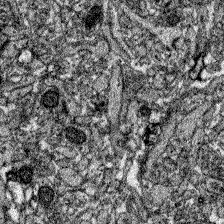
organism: Zebrafish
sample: Larval olfactory bulb